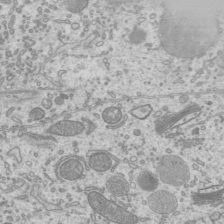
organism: Mouse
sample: Cilia; mouse epididymis